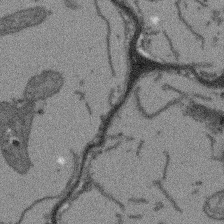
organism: Arabidopsis thaliana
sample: Root tip